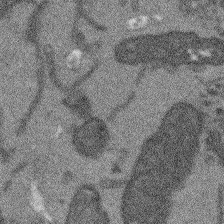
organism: Arabidopsis thaliana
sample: Root tip